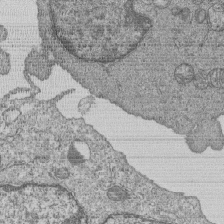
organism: Human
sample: MDA-MB-231 cells